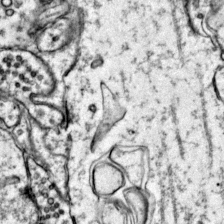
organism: Mouse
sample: Primary visual cortex